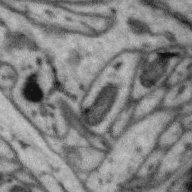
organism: Zebra finch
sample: Brain